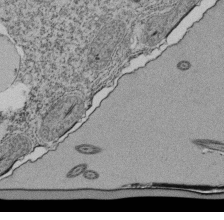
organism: Tetrahymena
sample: Cilia in tetrahymena